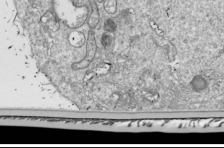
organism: Drosophila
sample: Cell division; meiosis; drosophila spermatocytes